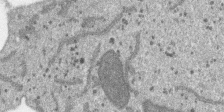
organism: Human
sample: Lung epithelial cells infected with SARS-CoV-2